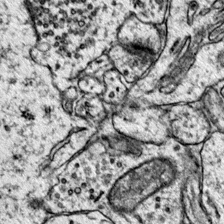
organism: Mouse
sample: Primary visual cortex